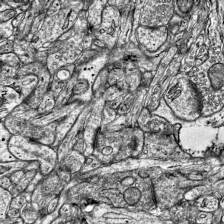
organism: Mouse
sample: Visual Cortex